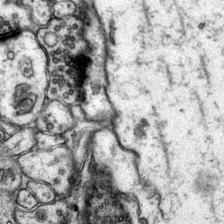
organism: Mouse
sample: Primary visual cortex